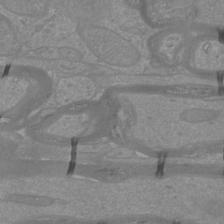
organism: Mouse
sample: Cortical neurons